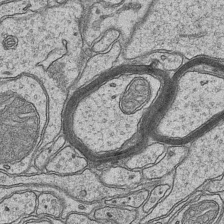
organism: Mouse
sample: CA1 Hippocampus